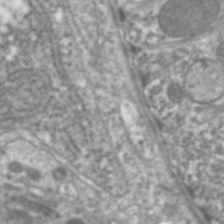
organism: C. elegans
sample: Pharynx